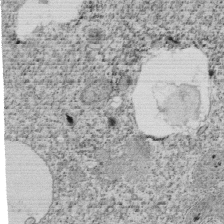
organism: Tetrahymena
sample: Cilia in tetrahymena